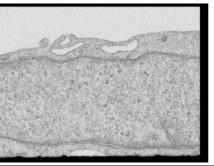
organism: Human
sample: Centriole in RPE cells